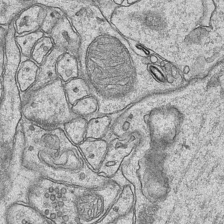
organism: Mouse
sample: CA1 Hippocampus